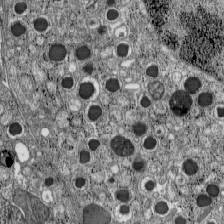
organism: C57BL Mouse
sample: Pancreatic islet